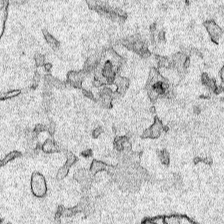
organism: Human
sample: Mitochondria in HCT116 cells